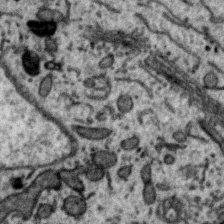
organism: Zebra finch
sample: Brain